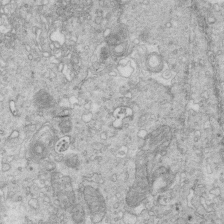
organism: Mouse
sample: Multiciliated cells